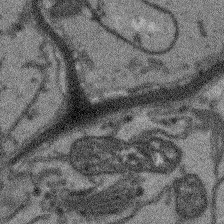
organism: Arabidopsis thaliana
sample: Root tip